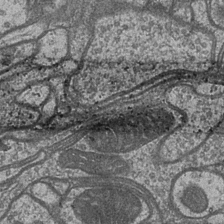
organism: Drosophila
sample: Optic medulla